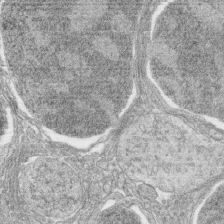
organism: Zebrafish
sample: synaptic ribbons in rod cells and cone cells